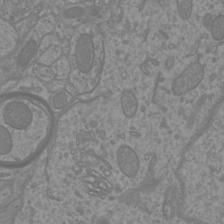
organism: Mouse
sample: Cortical neurons